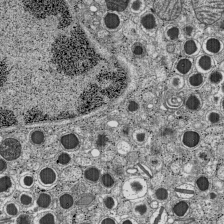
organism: C57BL Mouse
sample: Pancreatic islet